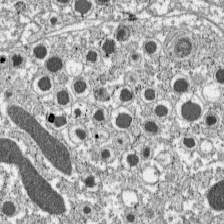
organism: C57BL Mouse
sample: Pancreatic islet